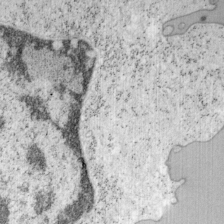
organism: Mouse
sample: OT-I killer T cells with ID8 ovarian cancer cells